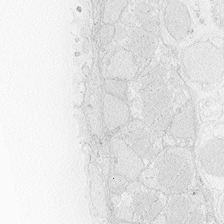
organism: Zebrafish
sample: Whole-Brain